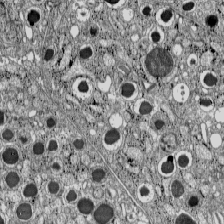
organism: C57BL Mouse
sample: Pancreatic islet